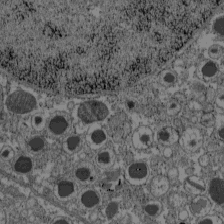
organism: C57BL Mouse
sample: Pancreatic islet